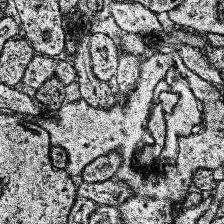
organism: Human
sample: Temporal Lobe